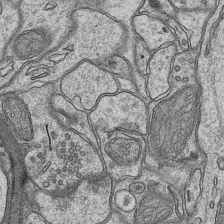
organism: Mouse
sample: CA1 Hippocampus